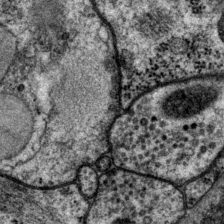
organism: P. pacificus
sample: Pharynx